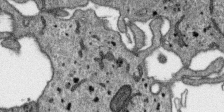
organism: Human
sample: Lung epithelial cells, uninfected (mock) control